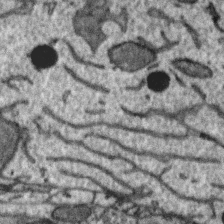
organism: Zebra finch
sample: Brain